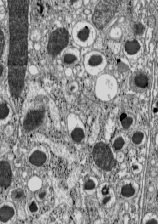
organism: C57BL Mouse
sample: Pancreatic islet